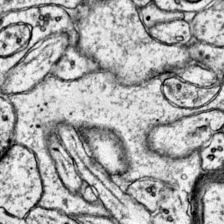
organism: Mouse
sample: Primary visual cortex